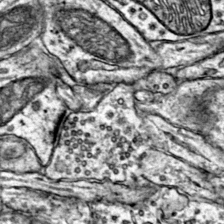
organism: Mouse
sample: Primary visual cortex